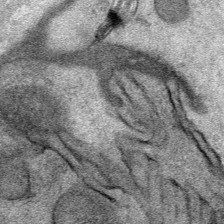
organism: Mouse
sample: Mouse Salivary gland